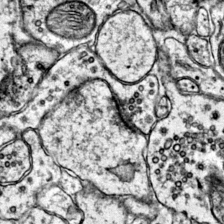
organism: Mouse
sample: Primary visual cortex